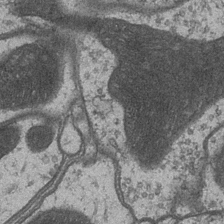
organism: Drosophila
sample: Optic medulla